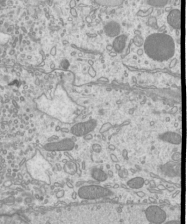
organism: Mouse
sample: Cilia; mouse epididymis